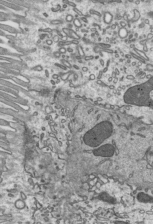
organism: Mouse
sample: Mouse epididymis efferent ductule cilia